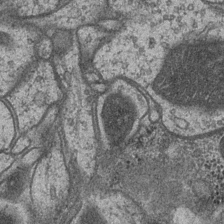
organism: Drosophila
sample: Optic medulla